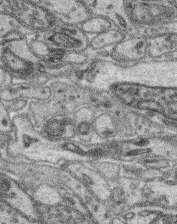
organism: Mouse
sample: Retina